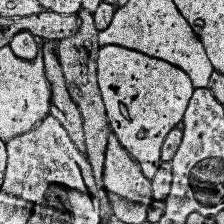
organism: Human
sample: Temporal Lobe